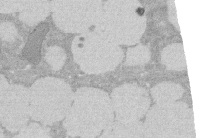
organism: Rat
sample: Salivary granule